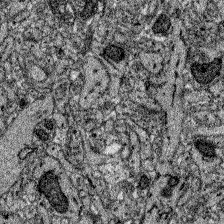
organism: Zebrafish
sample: Larval olfactory bulb